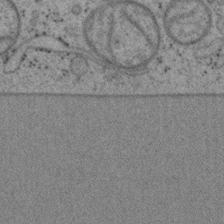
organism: Human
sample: HeLa cells